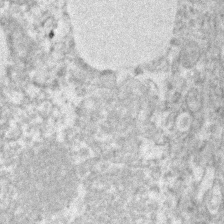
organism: Human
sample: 1205lu cells